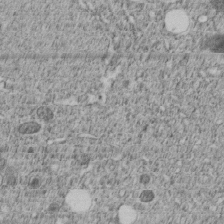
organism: C. elegans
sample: C. elegans embryo early stage